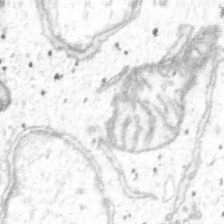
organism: Human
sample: HeLa cells